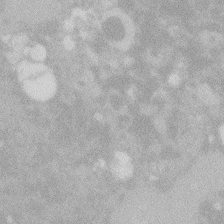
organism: Zebrafish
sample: Macrophage